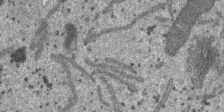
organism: Human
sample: Lung epithelial cells infected with SARS-CoV-2